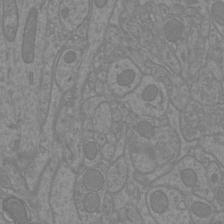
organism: Mouse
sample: Cortical neurons